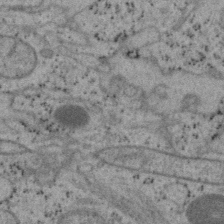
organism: Human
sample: HeLa cells